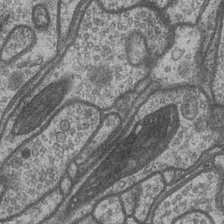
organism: Drosophila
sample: Optic medulla